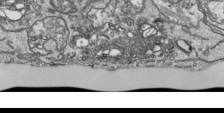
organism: Human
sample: Mitochondria in HCT116 cells